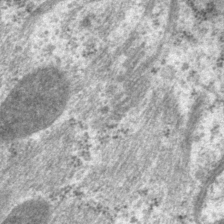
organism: P. pacificus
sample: Pharynx